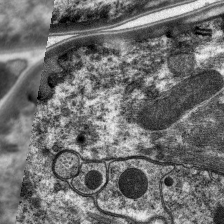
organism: C. elegans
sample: Pharynx